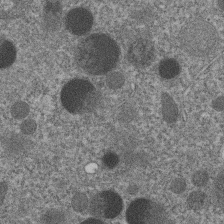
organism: C. elegans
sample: C. elegans embryo early stage